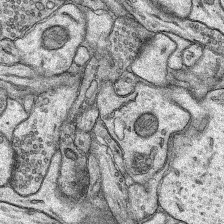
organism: Rat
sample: Hippocampus